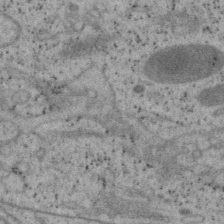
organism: Human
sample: HeLa cells